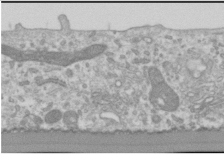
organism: Human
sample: Cilia; basal body in RPE cells